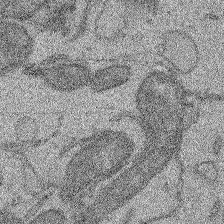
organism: Human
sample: HeLa cells